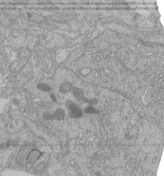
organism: Human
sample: Retinal organoid Rod and Cone cells